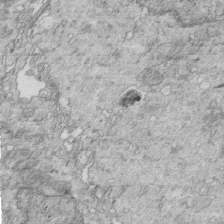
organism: Mouse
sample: Multiciliated cells